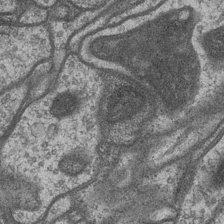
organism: Drosophila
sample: Optic medulla